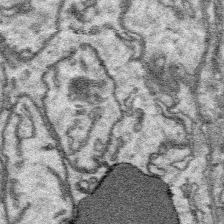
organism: Platynereis dumerilii